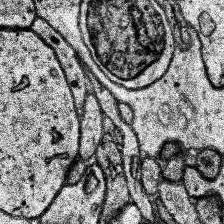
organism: Human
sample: Temporal Lobe